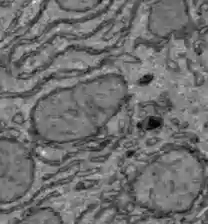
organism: C57BL Mouse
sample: Liver